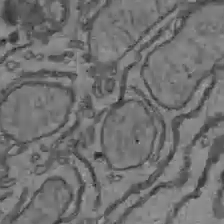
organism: C57BL Mouse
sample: Liver